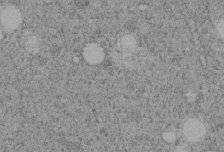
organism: C. elegans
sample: C. elegans embryo early stage